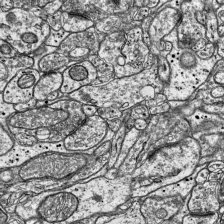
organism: Mouse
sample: Visual Cortex